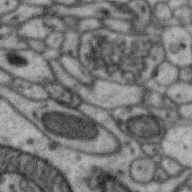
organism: Zebra finch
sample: Brain